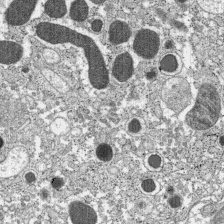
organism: C57BL Mouse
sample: Pancreatic islet